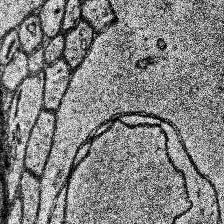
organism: Human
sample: Temporal Lobe